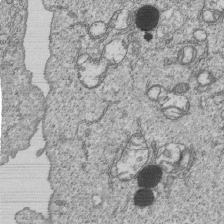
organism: Human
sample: MDA-MB-231 cells